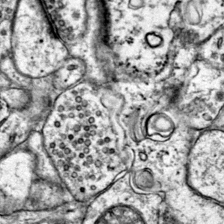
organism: Mouse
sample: Primary visual cortex